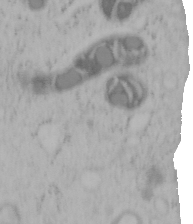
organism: Mouse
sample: OT-I killer T cells with ID8 ovarian cancer cells